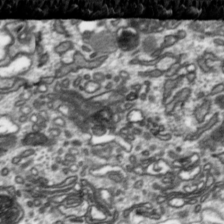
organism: Toxoplasma gondii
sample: Parasites in a vacuole inside a host cell